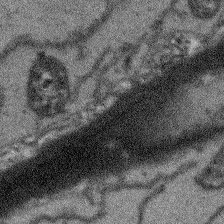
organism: Arabidopsis thaliana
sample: Root tip